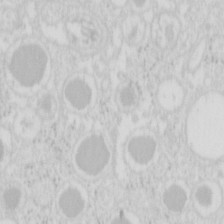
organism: Mouse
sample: Pancreas